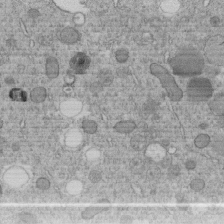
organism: C. elegans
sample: C. elegans embryo early stage